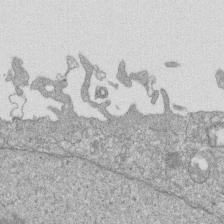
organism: Human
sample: HeLa cell HIV synapse